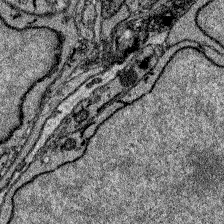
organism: Zebrafish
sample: Larval olfactory bulb